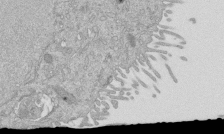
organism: Mouse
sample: ED-1 cell nuclei; centrioles